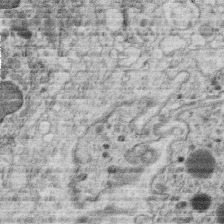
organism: C. elegans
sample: C. elegans oocyte; sperm cells